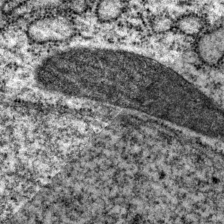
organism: P. pacificus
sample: Pharynx